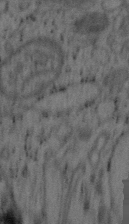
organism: Human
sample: HeLa cells